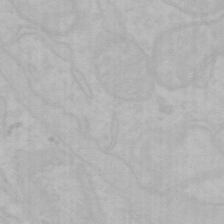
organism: Mouse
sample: Choroid plexus